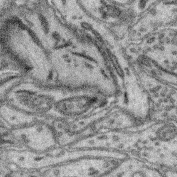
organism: Mouse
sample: Retina